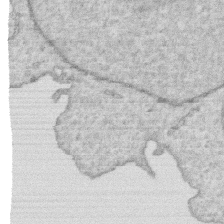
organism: Human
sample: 1205lu cells